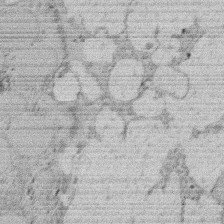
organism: Rat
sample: Salivary granule